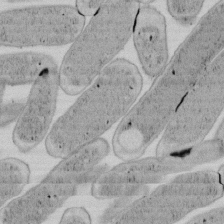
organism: E. coli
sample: Bacterial nucleoid